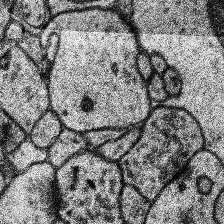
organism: Human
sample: Temporal Lobe